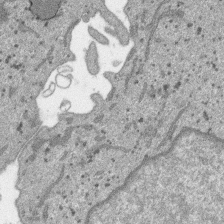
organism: Human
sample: Lung epithelial cells infected with SARS-CoV-2